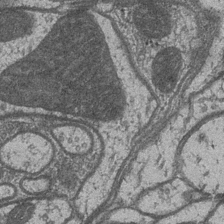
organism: Drosophila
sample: Optic medulla